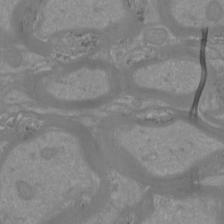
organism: Mouse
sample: Cortical neurons